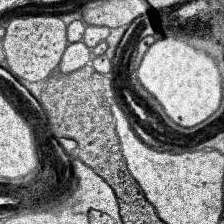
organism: Human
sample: Temporal Lobe